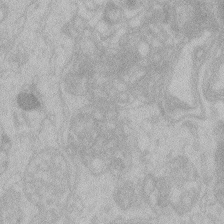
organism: Zebrafish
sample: Macrophage infected with Toxoplasma gondii